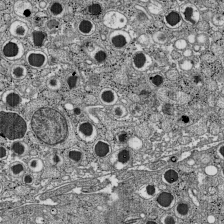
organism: C57BL Mouse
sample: Pancreatic islet